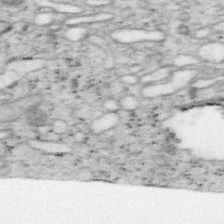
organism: Mouse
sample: OT-I killer T cells with ID8 ovarian cancer cells